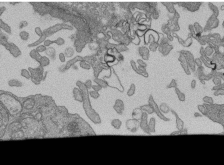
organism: Human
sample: Retinal organoid Rod and Cone cells